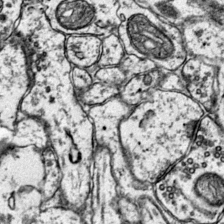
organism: Mouse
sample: Primary visual cortex